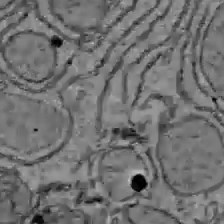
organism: C57BL Mouse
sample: Liver